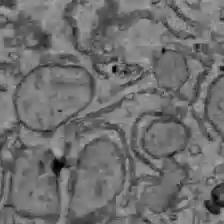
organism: C57BL Mouse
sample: Liver